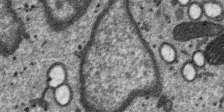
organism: Human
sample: Lung epithelial cells infected with SARS-CoV-2